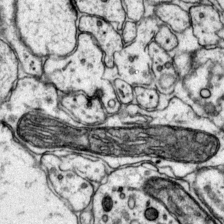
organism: Mouse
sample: Primary visual cortex